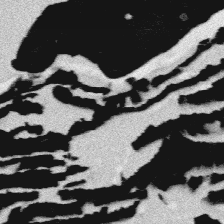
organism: Platynereis dumerilii